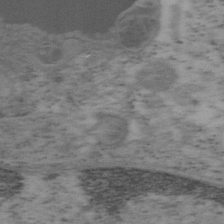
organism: Mouse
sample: OT-I killer T cells with ID8 ovarian cancer cells